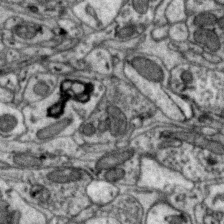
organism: Zebra finch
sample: Brain